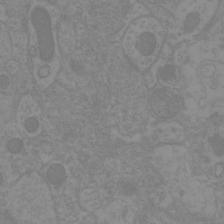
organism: Mouse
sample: Cortical neurons